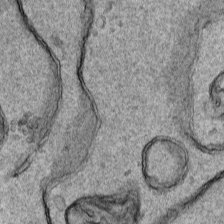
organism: Human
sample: Mitochondria in HCT116 cells